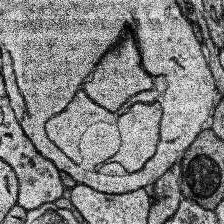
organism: Human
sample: Temporal Lobe